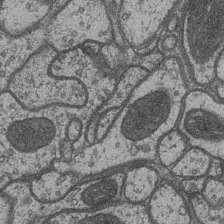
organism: Drosophila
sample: Optic medulla